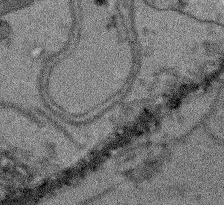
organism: Arabidopsis thaliana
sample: Root tip